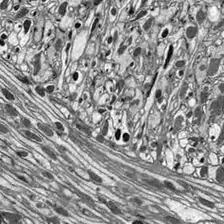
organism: Drosophila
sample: Optic lobe